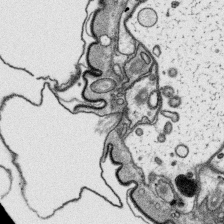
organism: Platynereis dumerilii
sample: Parapodia